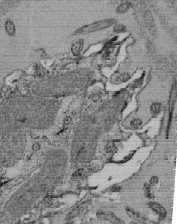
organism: Tetrahymena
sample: Cilia in tetrahymena